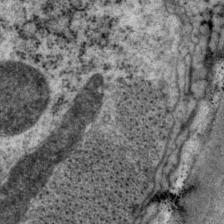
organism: P. pacificus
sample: Pharynx